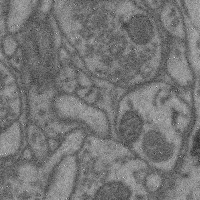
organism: Mouse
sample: Cerebral cortex